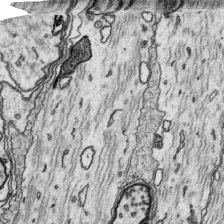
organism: Platynereis dumerilii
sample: Parapodia